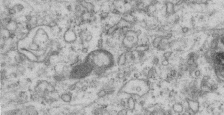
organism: Mouse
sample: Centriole in ependymal cells